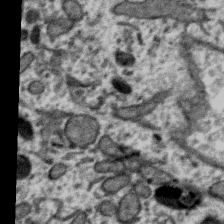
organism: Zebra finch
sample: Brain